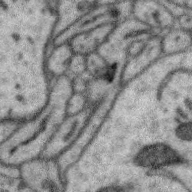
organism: Zebra finch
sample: Brain